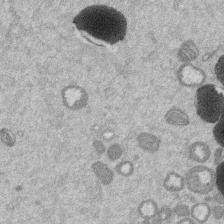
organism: Mouse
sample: Dividing mouse embryo 1 cell stage